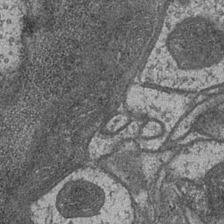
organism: Drosophila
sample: Optic medulla